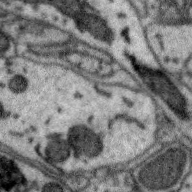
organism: Zebra finch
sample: Brain